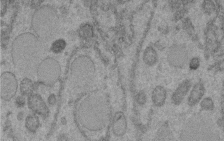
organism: C. elegans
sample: C. elegans embryo early stage